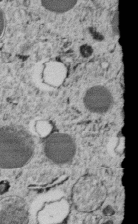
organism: C. elegans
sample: C. elegans embryo early stage